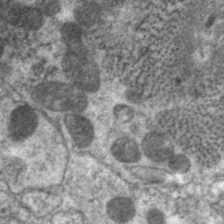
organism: C. elegans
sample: Pharynx